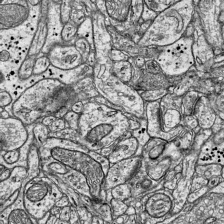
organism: Mouse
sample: Visual Cortex